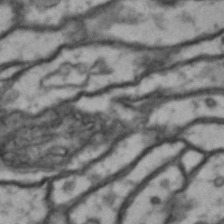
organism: Drosophila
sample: Brain